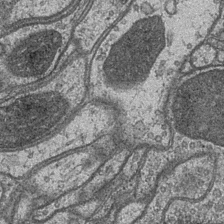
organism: Drosophila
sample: Optic medulla